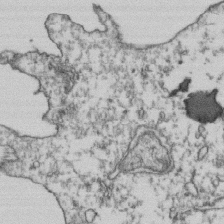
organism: Human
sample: Activated Jurkat CD4+ T cells